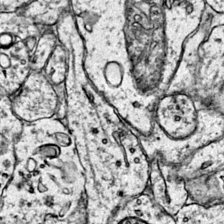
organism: Mouse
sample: Primary visual cortex